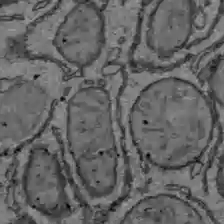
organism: C57BL Mouse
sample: Liver